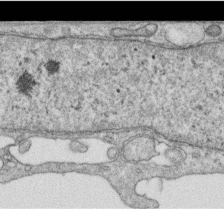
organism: Human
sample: Centriole in RPE cells